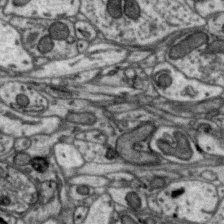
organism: Zebra finch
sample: Brain